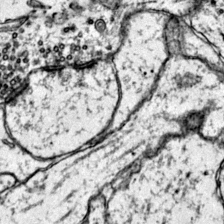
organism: Mouse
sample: Primary visual cortex